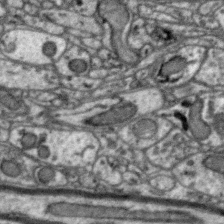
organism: Zebra finch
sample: Brain